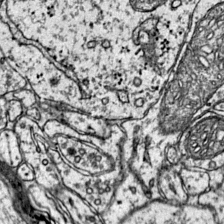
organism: Mouse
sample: Primary visual cortex